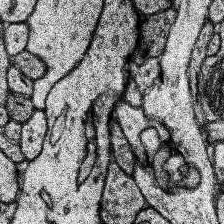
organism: Human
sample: Temporal Lobe